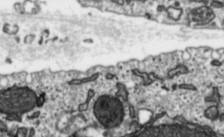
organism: Toxoplasma gondii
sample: Parasites in a vacuole inside a host cell